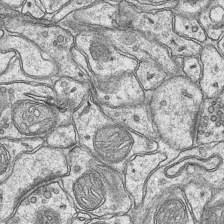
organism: Mouse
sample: CA1 Hippocampus